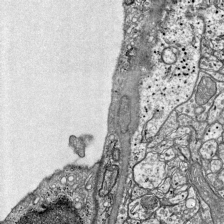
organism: Mouse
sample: Visual Cortex